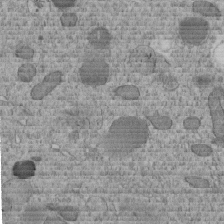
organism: C. elegans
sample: C. elegans embryo early stage